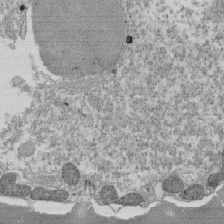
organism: Tetrahymena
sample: Cilia in tetrahymena